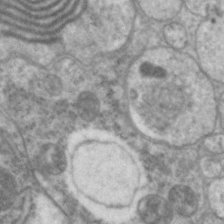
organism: C. elegans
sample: Pharynx